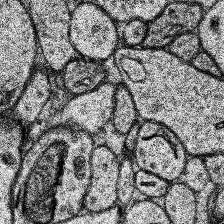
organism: Human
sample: Temporal Lobe